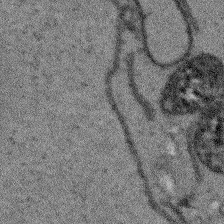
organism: Arabidopsis thaliana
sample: Root tip